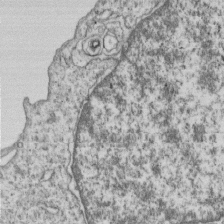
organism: Human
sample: MDA-MB-231 cells